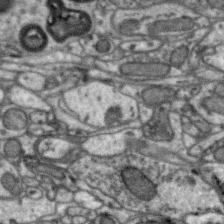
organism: Zebra finch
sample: Brain